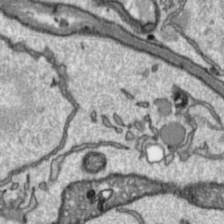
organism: Toxoplasma gondii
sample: Parasites in a vacuole inside a host cell